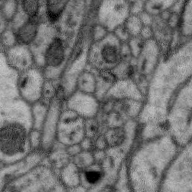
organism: Zebra finch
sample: Brain